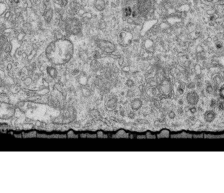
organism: Human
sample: HeLa cell HIV synapse